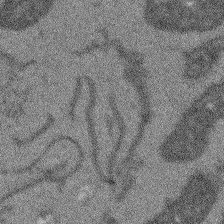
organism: Arabidopsis thaliana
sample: Root tip